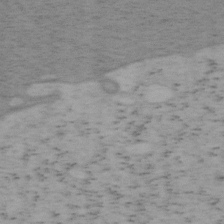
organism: Mouse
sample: OT-I killer T cells with ID8 ovarian cancer cells